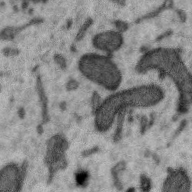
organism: Zebra finch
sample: Brain